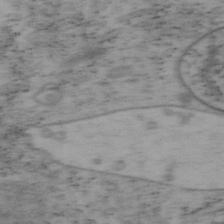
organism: Mouse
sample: OT-I killer T cells with ID8 ovarian cancer cells